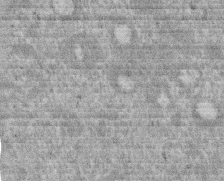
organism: Mouse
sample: Dividing mouse embryo 1 cell stage